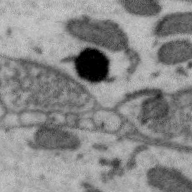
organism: Zebra finch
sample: Brain